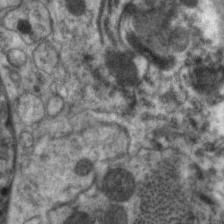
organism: C. elegans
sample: Pharynx